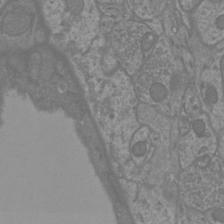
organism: Mouse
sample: Cortical neurons